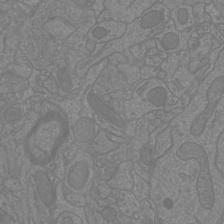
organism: Mouse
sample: Cortical neurons